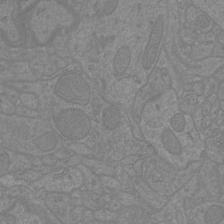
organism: Mouse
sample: Cortical neurons